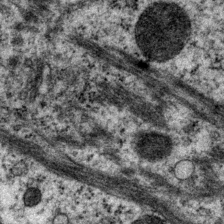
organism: P. pacificus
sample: Pharynx